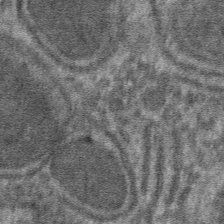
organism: Mouse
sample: Mouse hepatocytes